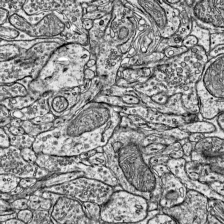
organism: Mouse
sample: Visual Cortex